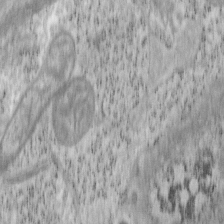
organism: Human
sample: HeLa cells